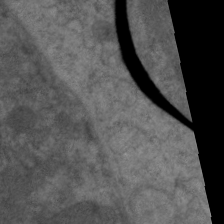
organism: C. elegans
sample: Pharynx